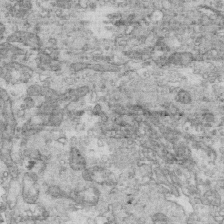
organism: Mouse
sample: Multiciliated cells